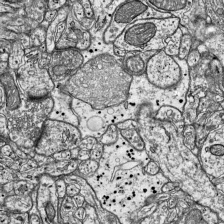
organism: Mouse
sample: Visual Cortex